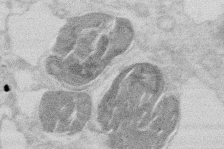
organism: Mouse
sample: T cell stromal cell synapse